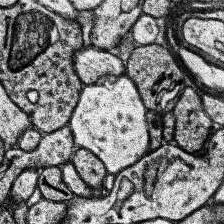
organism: Human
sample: Temporal Lobe